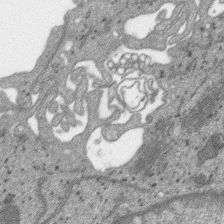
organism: Human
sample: Lung epithelial cells infected with SARS-CoV-2